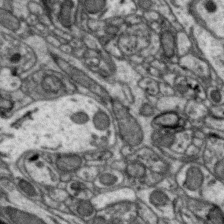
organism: Zebra finch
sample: Brain